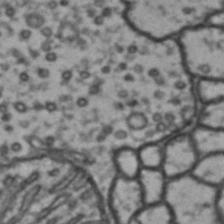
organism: Drosophila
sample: Brain